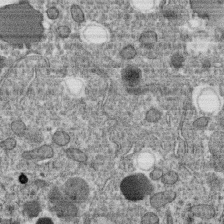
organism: C. elegans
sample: C. elegans oocyte; sperm cells